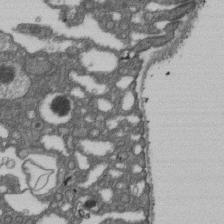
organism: Drosophila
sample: Nephrocyte